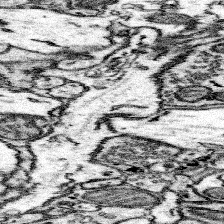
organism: Mouse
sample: Somatosensory cortex neuropil